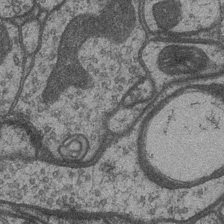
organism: Drosophila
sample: Optic medulla